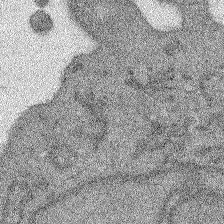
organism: Human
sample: HeLa cells